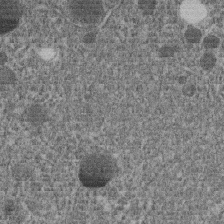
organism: C. elegans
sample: C. elegans embryo early stage